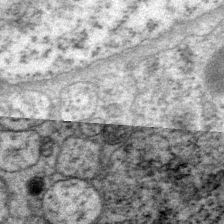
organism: P. pacificus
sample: Pharynx